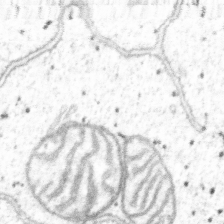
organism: Human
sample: HeLa cells